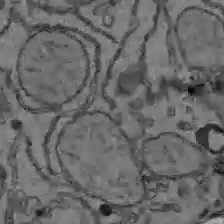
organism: C57BL Mouse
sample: Liver